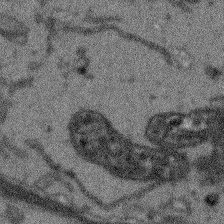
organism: Arabidopsis thaliana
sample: Root tip